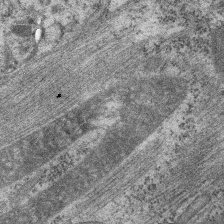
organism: C. elegans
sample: Pharynx